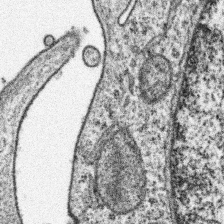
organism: Human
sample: HeLa cells